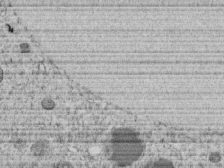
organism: C. elegans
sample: C. elegans embryo early stage